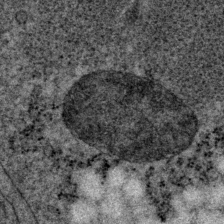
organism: P. pacificus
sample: Pharynx